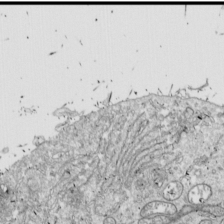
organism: Drosophila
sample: Cell division; meiosis; drosophila spermatocytes